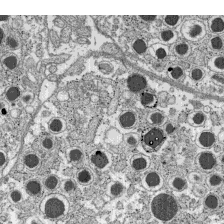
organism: C57BL Mouse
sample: Pancreatic islet